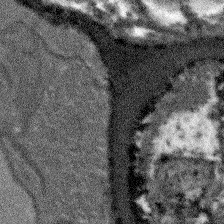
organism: Arabidopsis thaliana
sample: Root tip